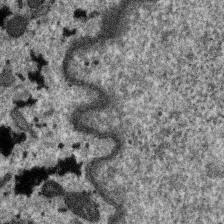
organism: Human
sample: Lung epithelial cells infected with SARS-CoV-2